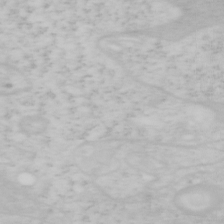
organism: Mouse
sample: OT-I killer T cells with ID8 ovarian cancer cells